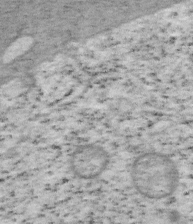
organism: Mouse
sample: OT-I killer T cells with ID8 ovarian cancer cells